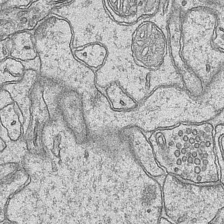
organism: Mouse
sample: CA1 Hippocampus